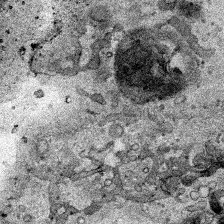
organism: Human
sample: Mitochondria in HCT116 cells